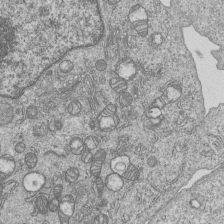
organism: Human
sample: MDA-MB-231 cells